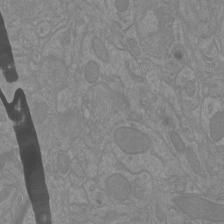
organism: Mouse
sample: Cortical neurons